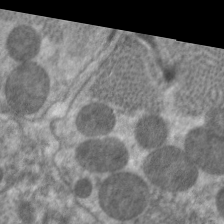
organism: C. elegans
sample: Pharynx